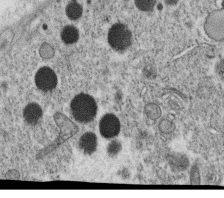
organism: C. elegans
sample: C. elegans oocyte; sperm cells